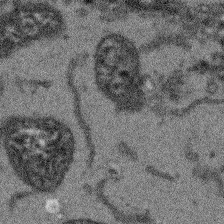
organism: Arabidopsis thaliana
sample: Root tip